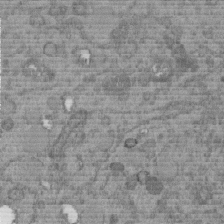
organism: C. elegans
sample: C. elegans embryo early stage